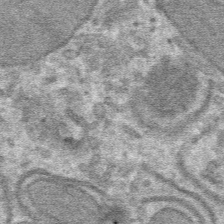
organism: Mouse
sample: Mouse hepatocytes